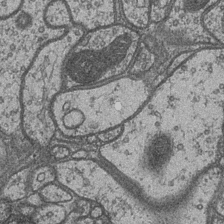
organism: Drosophila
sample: Optic medulla